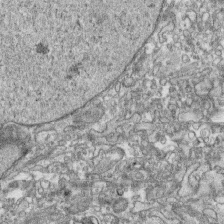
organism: Human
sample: CRL-1474